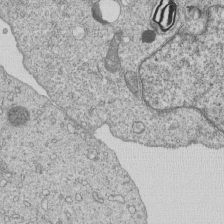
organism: Human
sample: MDA-MB-231 cells